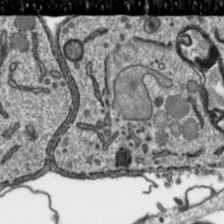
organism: Toxoplasma gondii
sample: Parasites in a vacuole inside a host cell